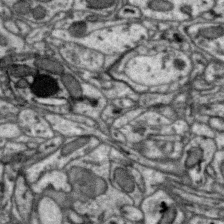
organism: Zebra finch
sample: Brain